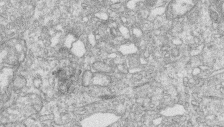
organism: Human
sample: HeLa cell HIV synapse